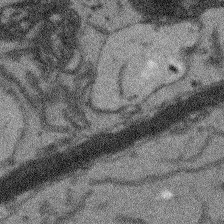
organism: Arabidopsis thaliana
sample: Root tip